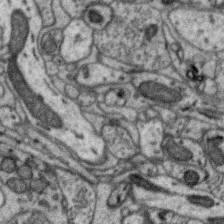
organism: Zebra finch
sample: Brain